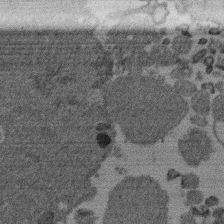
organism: Mouse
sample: Dividing mouse embryo 1 cell stage